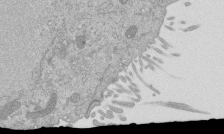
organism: Mouse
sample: ED-1 cell nuclei; centrioles